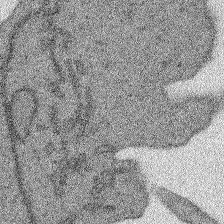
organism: Human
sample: HeLa cells